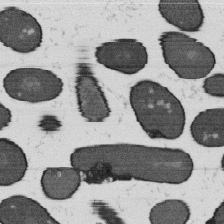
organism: B. subtilis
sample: Bacterial spore